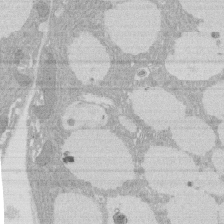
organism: Rat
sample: Salivary granule